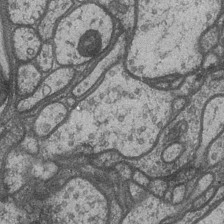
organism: Drosophila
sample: Optic medulla